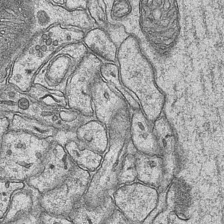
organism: Mouse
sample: CA1 Hippocampus